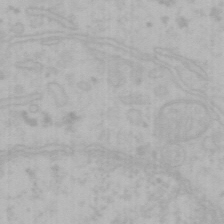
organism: Mouse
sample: Choroid plexus